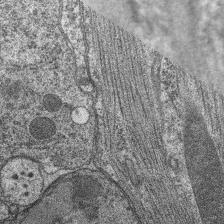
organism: C. elegans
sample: Pharynx